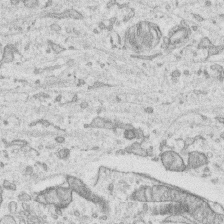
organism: Human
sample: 1205lu cells